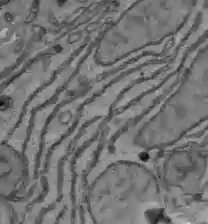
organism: C57BL Mouse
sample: Liver